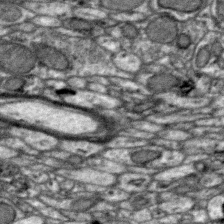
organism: Zebra finch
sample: Brain